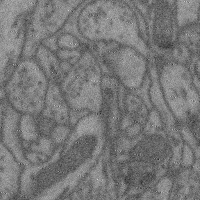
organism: Mouse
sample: Cerebral cortex